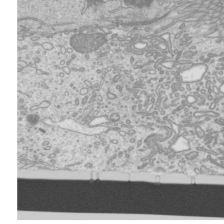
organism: Mouse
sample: Cilia; mouse epididymis